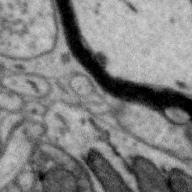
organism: Zebra finch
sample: Brain